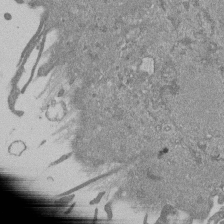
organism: Mouse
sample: ED-1 cell nuclei; centrioles